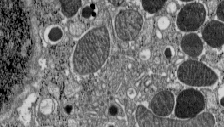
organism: C57BL Mouse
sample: Pancreatic islet